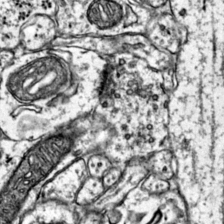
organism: Mouse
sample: Primary visual cortex